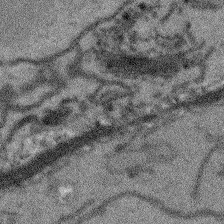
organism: Arabidopsis thaliana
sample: Root tip